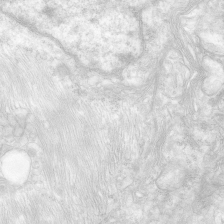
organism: Human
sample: Neocortex